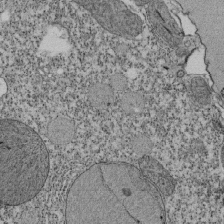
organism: Tetrahymena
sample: Cilia in tetrahymena